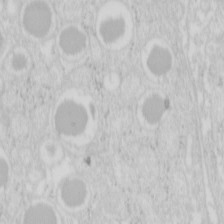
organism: Mouse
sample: Pancreas